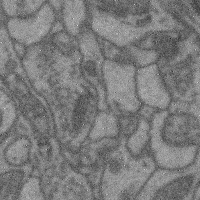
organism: Mouse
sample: Cerebral cortex